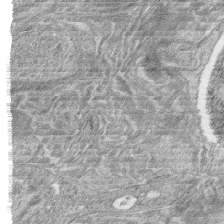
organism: Zebrafish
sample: synaptic ribbons in rod cells and cone cells